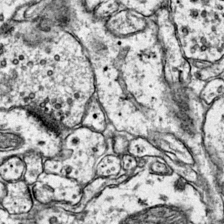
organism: Mouse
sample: Primary visual cortex